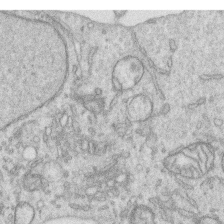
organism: Human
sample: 1205lu cells